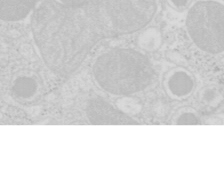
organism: Mouse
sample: Pancreas